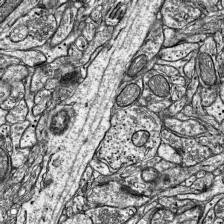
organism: Mouse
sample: Visual Cortex